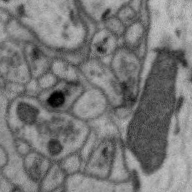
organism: Zebra finch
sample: Brain